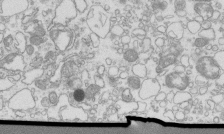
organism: Mouse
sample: Macrophages